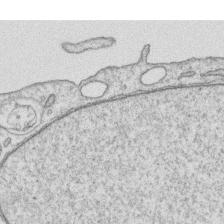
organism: Human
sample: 1205lu cells